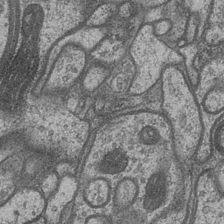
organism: Drosophila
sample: Optic medulla